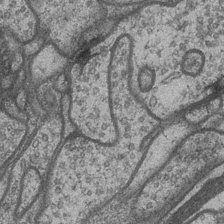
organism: Drosophila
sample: Optic medulla